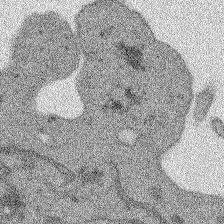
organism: Human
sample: HeLa cells